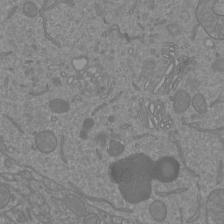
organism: Mouse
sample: Cortical neurons